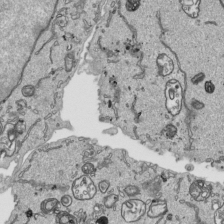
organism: Human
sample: Mitochondria in HCT116 cells